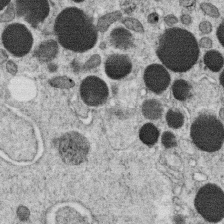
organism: C. elegans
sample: C. elegans oocyte; sperm cells